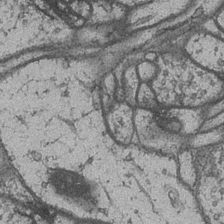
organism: Drosophila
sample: Optic medulla